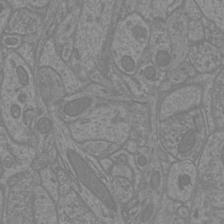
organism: Mouse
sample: Cortical neurons